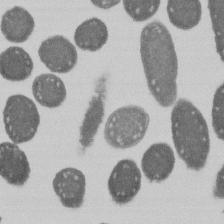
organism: E. coli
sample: Bacterial nucleoid